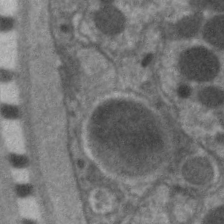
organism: C. elegans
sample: Pharynx